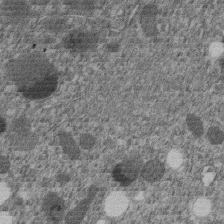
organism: C. elegans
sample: C. elegans embryo early stage